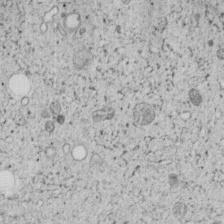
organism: C. elegans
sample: C. elegans embryo early stage